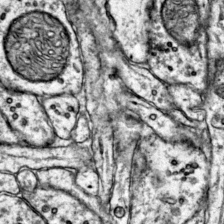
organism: Mouse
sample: Primary visual cortex